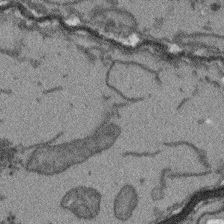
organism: Arabidopsis thaliana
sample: Root tip